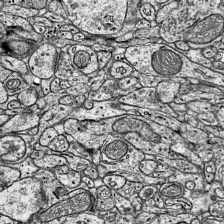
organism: Mouse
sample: Visual Cortex